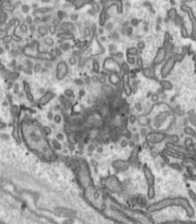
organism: Toxoplasma gondii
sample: Parasites in a vacuole inside a host cell